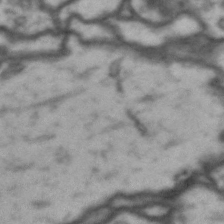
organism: Drosophila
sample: Brain